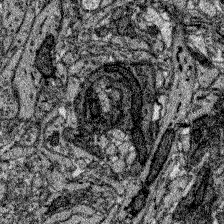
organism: Zebrafish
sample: Larval olfactory bulb